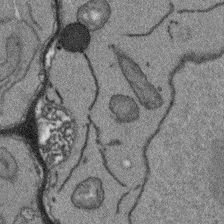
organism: Arabidopsis thaliana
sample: Root tip